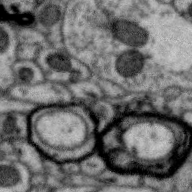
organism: Zebra finch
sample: Brain